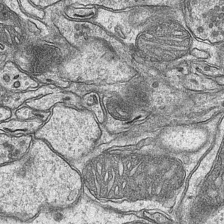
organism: Mouse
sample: CA1 Hippocampus